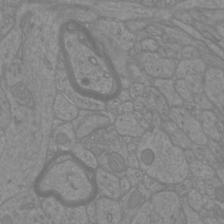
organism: Mouse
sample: Cortical neurons